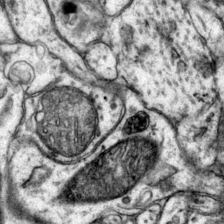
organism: Mouse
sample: Primary visual cortex